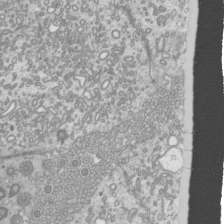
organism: Mouse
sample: Cilia; mouse epididymis